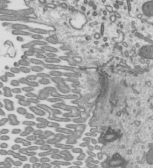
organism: Mouse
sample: Mouse epididymis efferent ductule cilia